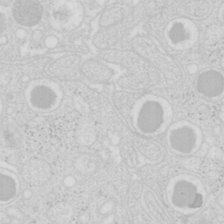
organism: Mouse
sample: Pancreas